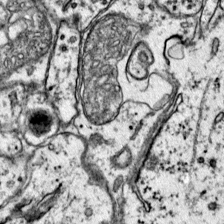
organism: Mouse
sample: Primary visual cortex